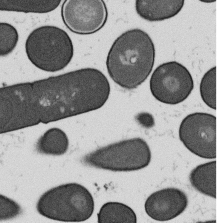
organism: B. subtilis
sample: Bacterial spore